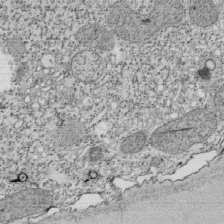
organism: Tetrahymena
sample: Cilia in tetrahymena